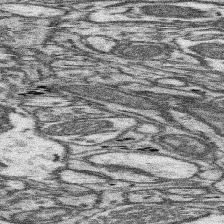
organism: Mouse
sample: Somatosensory cortex neuropil